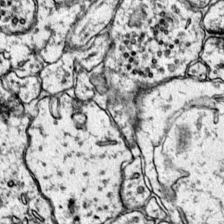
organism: Mouse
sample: Primary visual cortex